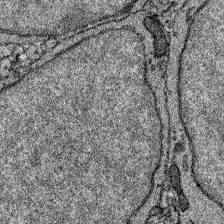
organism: Zebrafish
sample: Larval olfactory bulb